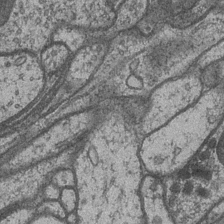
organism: Drosophila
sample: Optic medulla